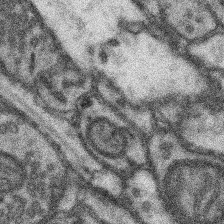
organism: Mouse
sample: Somatosensory cortex neuropil